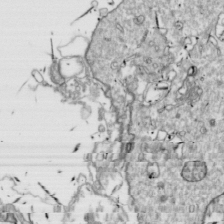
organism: Drosophila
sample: Cell division; meiosis; drosophila spermatocytes